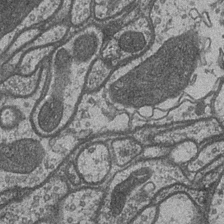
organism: Drosophila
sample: Optic medulla